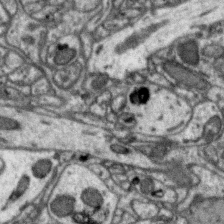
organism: Zebra finch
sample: Brain